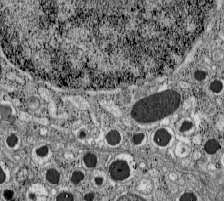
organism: C57BL Mouse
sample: Pancreatic islet